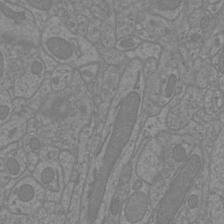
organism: Mouse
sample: Cortical neurons